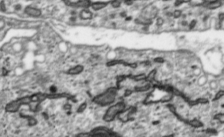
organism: Toxoplasma gondii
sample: Parasites in a vacuole inside a host cell